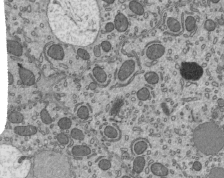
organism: Mouse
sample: Mouse epididymis efferent ductule cilia